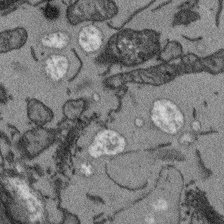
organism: Arabidopsis thaliana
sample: Root tip